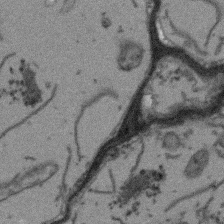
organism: Arabidopsis thaliana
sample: Root tip